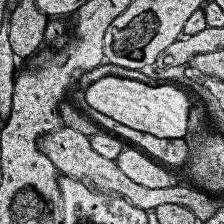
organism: Human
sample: Temporal Lobe